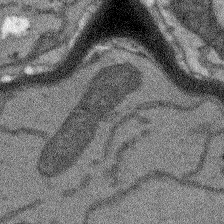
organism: Arabidopsis thaliana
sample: Root tip